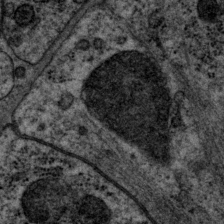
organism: P. pacificus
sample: Pharynx